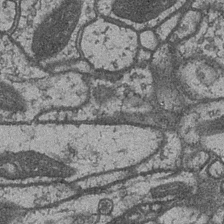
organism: Drosophila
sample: Optic medulla